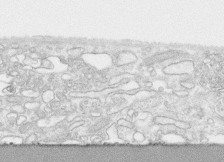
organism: Human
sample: CRL-1474